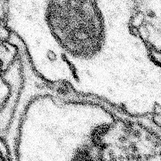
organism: Mouse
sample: Somatosensory cortex neuropil